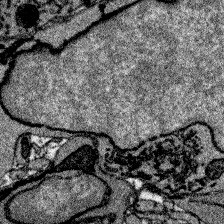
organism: Zebrafish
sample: Larval olfactory bulb